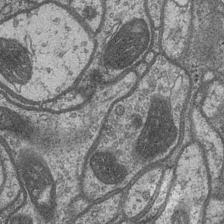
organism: Drosophila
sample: Optic medulla